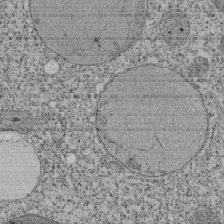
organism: Tetrahymena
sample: Cilia in tetrahymena